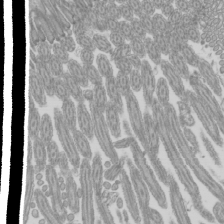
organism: Mouse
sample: Cilia; mouse epididymis